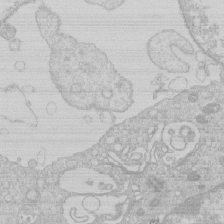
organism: Human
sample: Macrophage cells